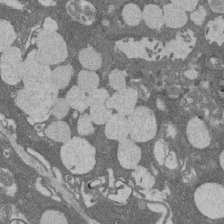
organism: Rat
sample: Salivary granule